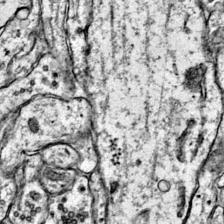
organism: Mouse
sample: Primary visual cortex